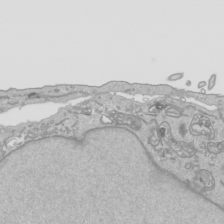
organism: Human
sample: Mitochondria in HCT116 cells